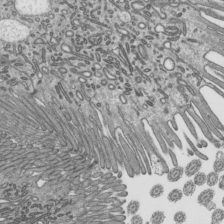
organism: Mouse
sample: Mouse epididymis efferent ductule cilia